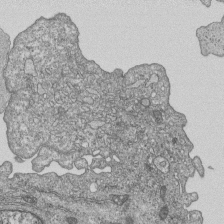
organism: Human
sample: MDA-MB-231 cells